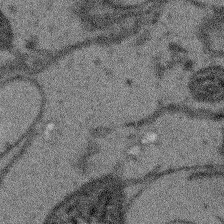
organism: Arabidopsis thaliana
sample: Root tip